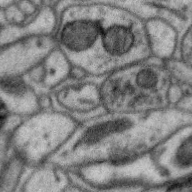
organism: Zebra finch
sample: Brain